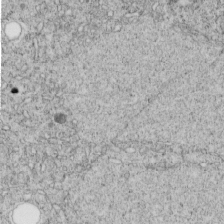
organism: C. elegans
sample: C. elegans embryo early stage